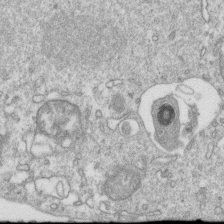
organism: Mouse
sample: Activated OT-1 CD8+ T cells